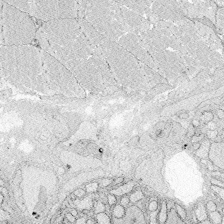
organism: Zebrafish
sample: Whole-Brain